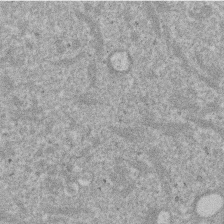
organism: Mouse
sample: Dividing mouse embryo 1 cell stage